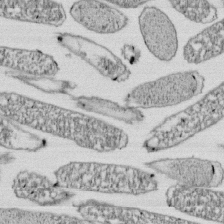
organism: E. coli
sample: Bacterial nucleoid